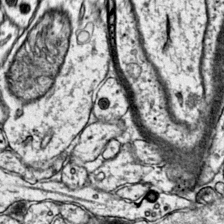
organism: Mouse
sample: Primary visual cortex